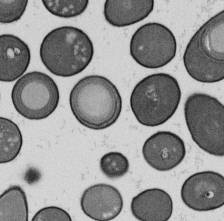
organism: B. subtilis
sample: Bacterial spore